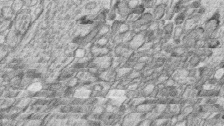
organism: Zebrafish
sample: synaptic ribbons in rod cells and cone cells